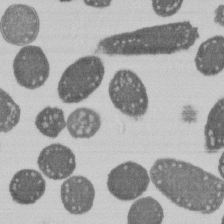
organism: E. coli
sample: Bacterial nucleoid